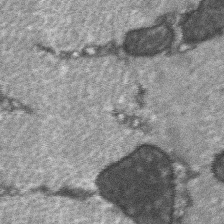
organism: C57BL Mouse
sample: Soleus